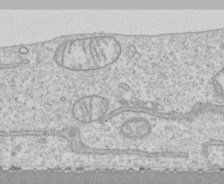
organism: Human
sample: CRL-1474